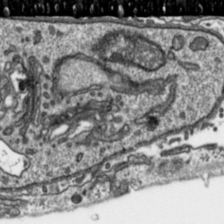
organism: Toxoplasma gondii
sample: Parasites in a vacuole inside a host cell